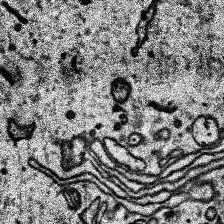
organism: Human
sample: Temporal Lobe